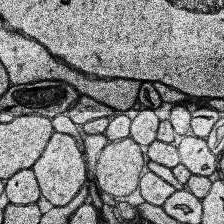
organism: Human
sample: Temporal Lobe